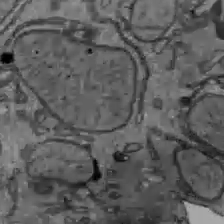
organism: C57BL Mouse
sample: Liver